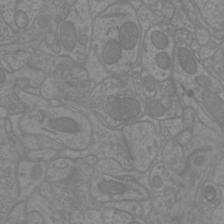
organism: Mouse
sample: Cortical neurons